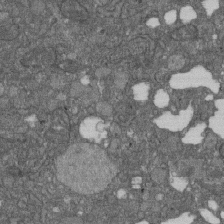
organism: Drosophila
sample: Nephrocyte